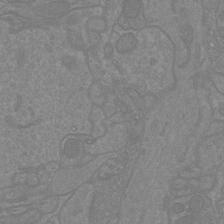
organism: Mouse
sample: Cortical neurons